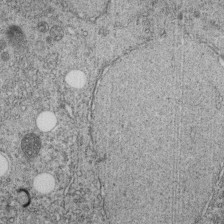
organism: C. elegans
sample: C. elegans embryo early stage